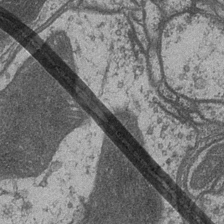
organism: Drosophila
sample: Optic medulla